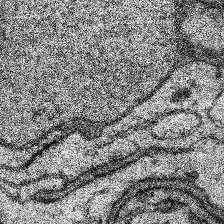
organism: Human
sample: Temporal Lobe